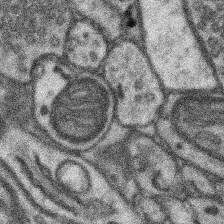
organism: Mouse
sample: Somatosensory cortex neuropil